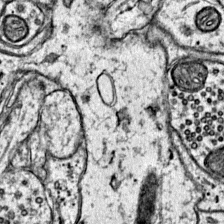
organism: Mouse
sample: Primary visual cortex